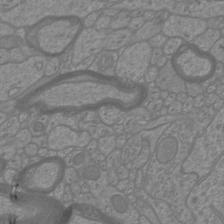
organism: Mouse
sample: Cortical neurons